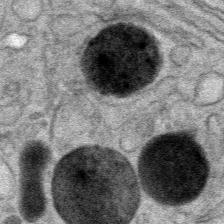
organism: Mouse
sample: Mouse Salivary gland